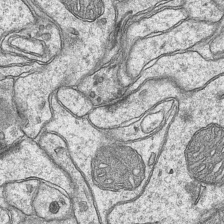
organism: Mouse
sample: CA1 Hippocampus